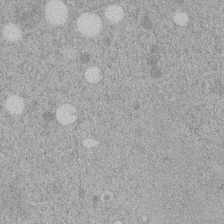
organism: C. elegans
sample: C. elegans embryo early stage